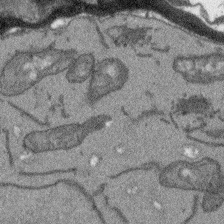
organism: Arabidopsis thaliana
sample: Root tip